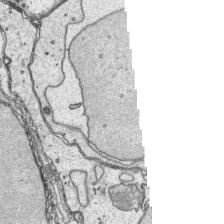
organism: Platynereis dumerilii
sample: Parapodia